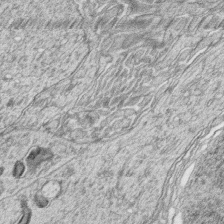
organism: Zebrafish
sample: synaptic ribbons in rod cells and cone cells